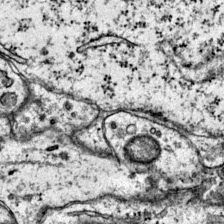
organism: Mouse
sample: Primary visual cortex